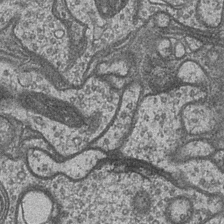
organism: Drosophila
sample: Optic medulla